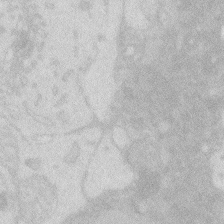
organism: Zebrafish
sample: Macrophage